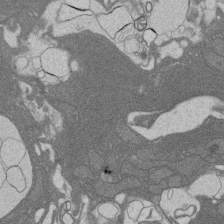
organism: Rat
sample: Salivary granule